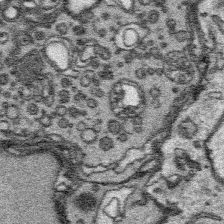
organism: Platynereis dumerilii